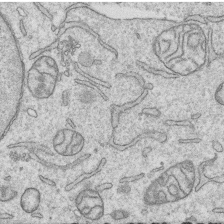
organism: Human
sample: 1205lu cells